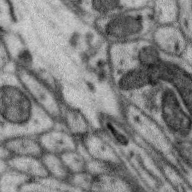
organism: Zebra finch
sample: Brain